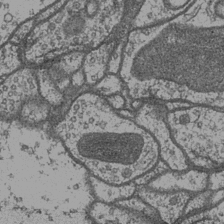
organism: Drosophila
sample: Optic medulla